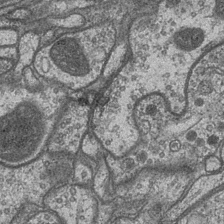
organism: Drosophila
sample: Optic medulla